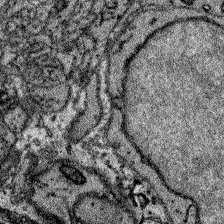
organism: Zebrafish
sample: Larval olfactory bulb